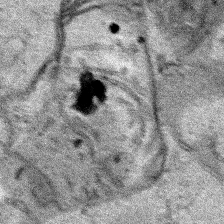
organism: Human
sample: Mitochondria in HCT116 cells